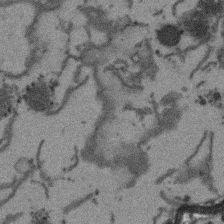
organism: Arabidopsis thaliana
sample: Root tip